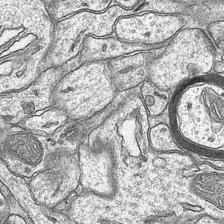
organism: Mouse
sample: CA1 Hippocampus